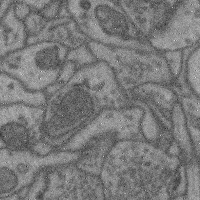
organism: Mouse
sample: Cerebral cortex